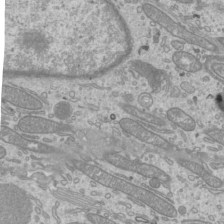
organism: Mouse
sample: Cilia; mouse epididymis